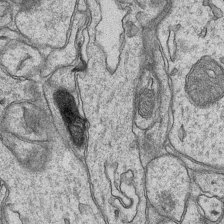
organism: Mouse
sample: CA1 Hippocampus